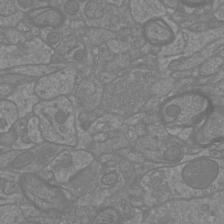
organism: Mouse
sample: Cortical neurons